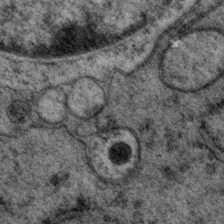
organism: P. pacificus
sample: Pharynx